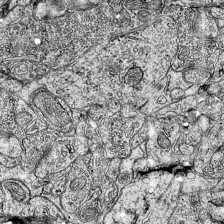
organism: Mouse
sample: Visual Cortex